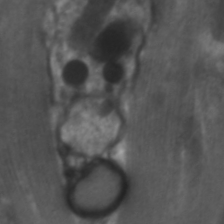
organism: C. elegans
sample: Pharynx